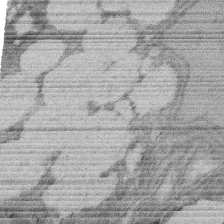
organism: Rat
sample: Salivary granule